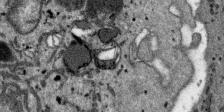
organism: Human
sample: Lung epithelial cells, uninfected (mock) control